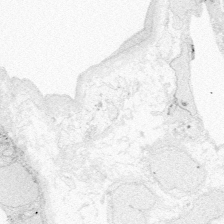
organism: Zebrafish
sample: Whole-Brain